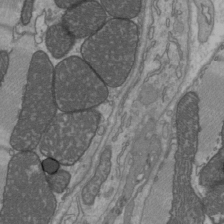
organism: C57BL Mouse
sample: Heart